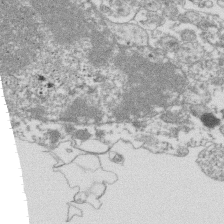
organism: Human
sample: HeLa cell HIV synapse